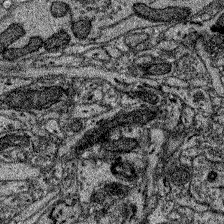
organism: Zebrafish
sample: Larval olfactory bulb